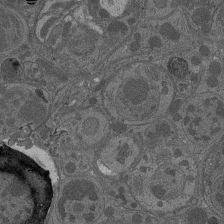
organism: Drosophila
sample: Antenna